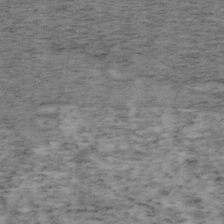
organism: Mouse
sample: OT-I killer T cells with ID8 ovarian cancer cells